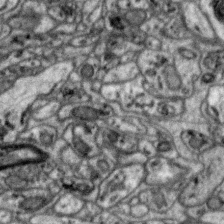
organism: Zebra finch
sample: Brain